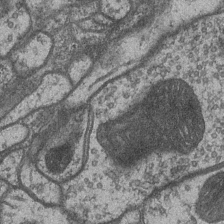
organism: Drosophila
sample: Optic medulla